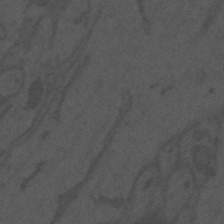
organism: Mouse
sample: Suprachiasmatic nucleus